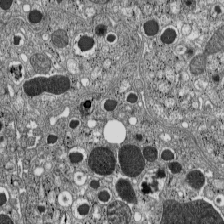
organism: C57BL Mouse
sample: Pancreatic islet